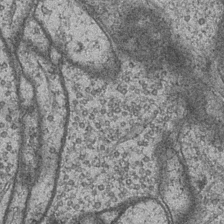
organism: Drosophila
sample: Optic medulla